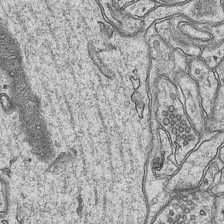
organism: Mouse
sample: CA1 Hippocampus